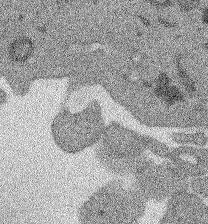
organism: Human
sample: HeLa cells